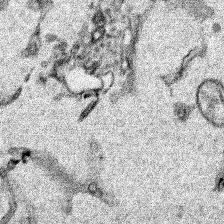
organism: Human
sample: Mitochondria in HCT116 cells